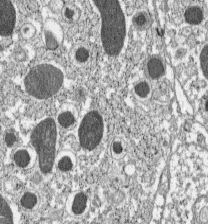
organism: C57BL Mouse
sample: Pancreatic islet